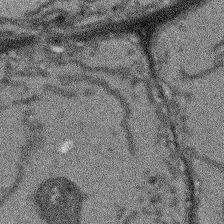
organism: Arabidopsis thaliana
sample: Root tip